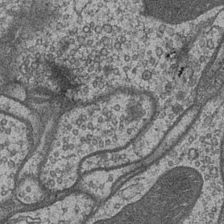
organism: Drosophila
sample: Optic medulla